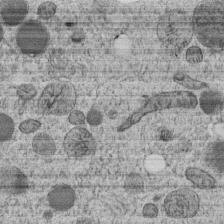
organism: C. elegans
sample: C. elegans embryo early stage